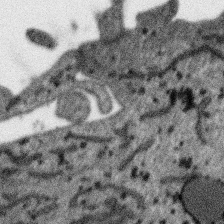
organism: Human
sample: Lung epithelial cells infected with SARS-CoV-2